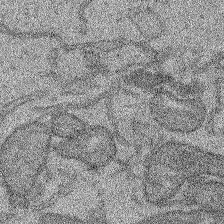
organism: Human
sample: HeLa cells